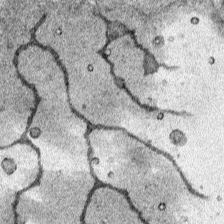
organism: Human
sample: Mitochondria in HCT116 cells